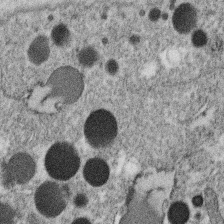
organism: C. elegans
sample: C. elegans oocyte; sperm cells